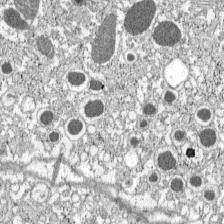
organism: C57BL Mouse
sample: Pancreatic islet